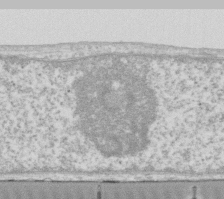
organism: Human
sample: Fibroblast cells